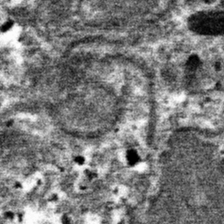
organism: Mouse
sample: Mouse hepatocytes